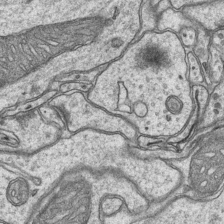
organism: Mouse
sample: CA1 Hippocampus